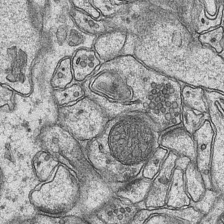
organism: Mouse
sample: CA1 Hippocampus